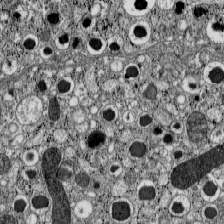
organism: C57BL Mouse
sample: Pancreatic islet